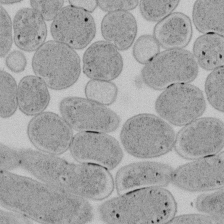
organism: E. coli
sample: Bacterial nucleoid